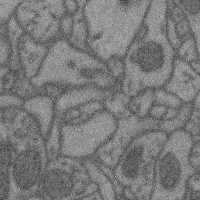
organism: Mouse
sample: Cerebral cortex